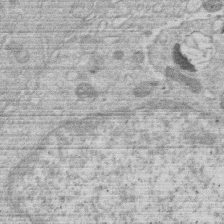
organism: Human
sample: Macrophage cells